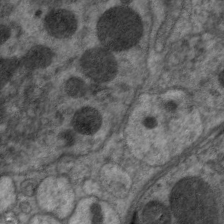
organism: C. elegans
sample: Pharynx